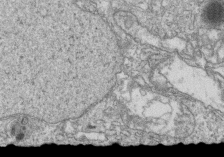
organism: Human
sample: HeLa cell HIV synapse